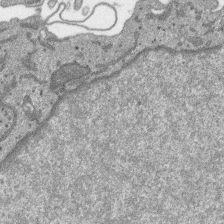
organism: Human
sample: Lung epithelial cells infected with SARS-CoV-2